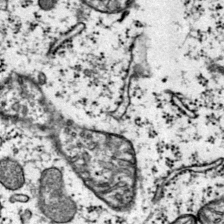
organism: Mouse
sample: Primary visual cortex